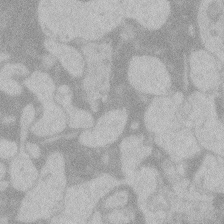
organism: Zebrafish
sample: Macrophage infected with Toxoplasma gondii